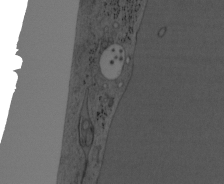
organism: Mouse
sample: OT-I killer T cells with ID8 ovarian cancer cells